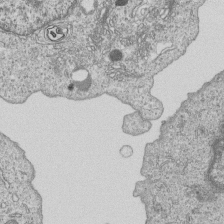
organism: Human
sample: MDA-MB-231 cells